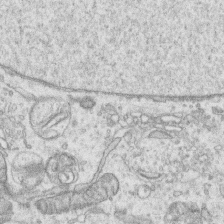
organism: Human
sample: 1205lu cells